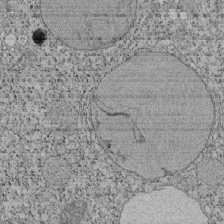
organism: Tetrahymena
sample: Cilia in tetrahymena